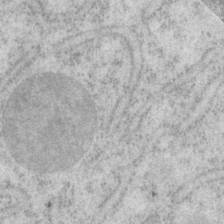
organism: P. pacificus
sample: Pharynx